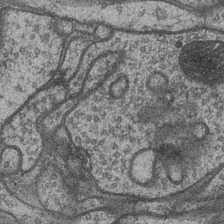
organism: Drosophila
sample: Optic medulla